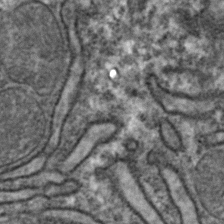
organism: Zebrafish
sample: Zebrafish embryo